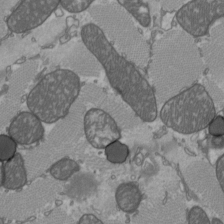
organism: C57BL Mouse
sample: Heart